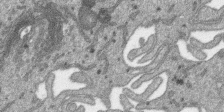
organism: Human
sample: Lung epithelial cells infected with SARS-CoV-2